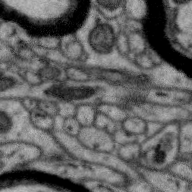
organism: Zebra finch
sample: Brain